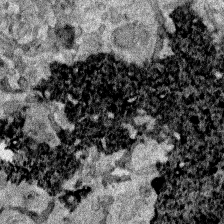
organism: Human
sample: Mitochondria in HCT116 cells